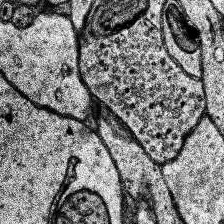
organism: Human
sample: Temporal Lobe